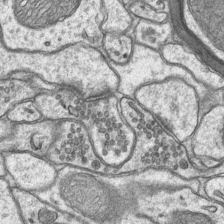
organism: Mouse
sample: CA1 Hippocampus